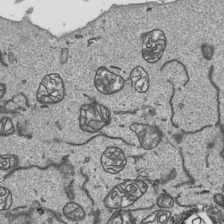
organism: Human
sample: Mitochondria in HCT116 cells